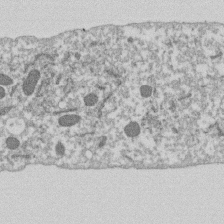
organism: Dictyostelium discoideum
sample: Dictyostelium multivesicular bodies